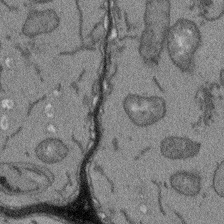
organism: Arabidopsis thaliana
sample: Root tip